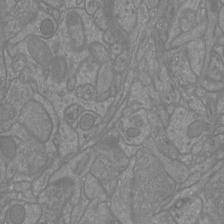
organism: Mouse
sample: Cortical neurons